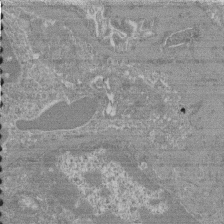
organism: Mouse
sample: Glomerulus